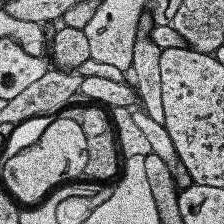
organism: Human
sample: Temporal Lobe